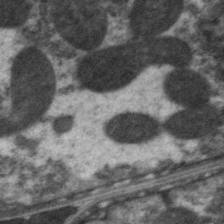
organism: C. elegans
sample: Pharynx